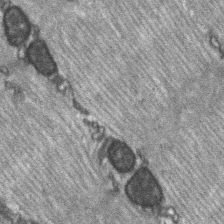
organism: C57BL Mouse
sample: Soleus